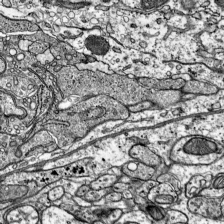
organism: Mouse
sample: Visual Cortex